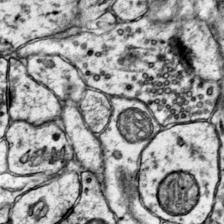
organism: Mouse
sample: Primary visual cortex